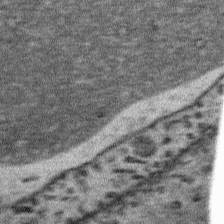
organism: Mouse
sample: Mouse Salivary gland